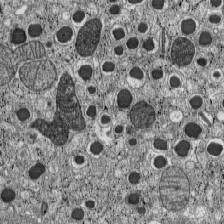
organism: C57BL Mouse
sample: Pancreatic islet